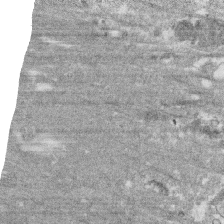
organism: Human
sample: CRL-1474